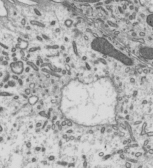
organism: Mouse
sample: Mouse epididymis efferent ductule cilia